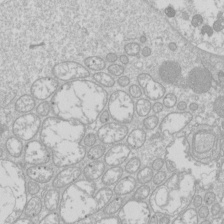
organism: Drosophila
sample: Cell division; meiosis; drosophila spermatocytes